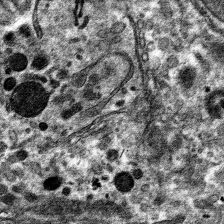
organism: Mouse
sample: Mouse hepatocytes